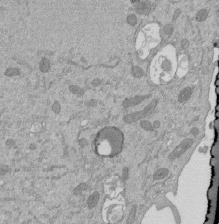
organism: Mouse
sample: ED-1 cell nuclei; centrioles